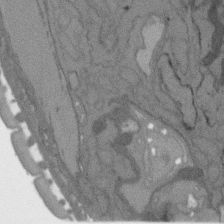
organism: C. elegans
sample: AFD neurons C. elegans